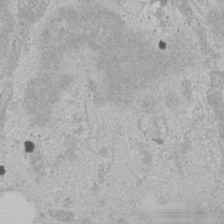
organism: Human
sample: Mitochondria in U2OS cells